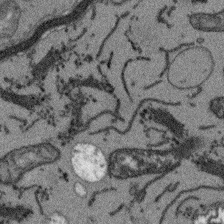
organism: Arabidopsis thaliana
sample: Root tip